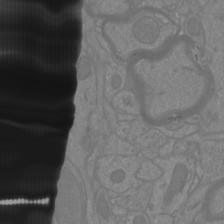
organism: Mouse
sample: Cortical neurons